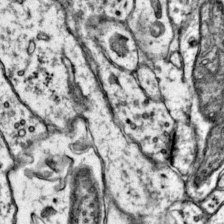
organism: Mouse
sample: Primary visual cortex